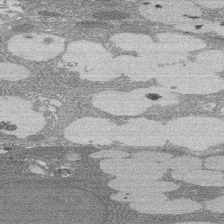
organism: Rat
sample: Salivary granule